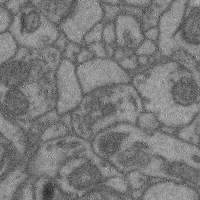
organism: Mouse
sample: Cerebral cortex